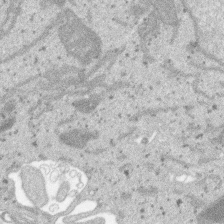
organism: Human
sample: Lung epithelial cells infected with SARS-CoV-2